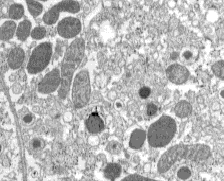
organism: C57BL Mouse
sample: Pancreatic islet